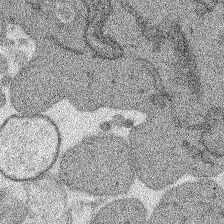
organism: Human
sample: HeLa cells